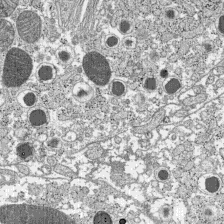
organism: C57BL Mouse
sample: Pancreatic islet